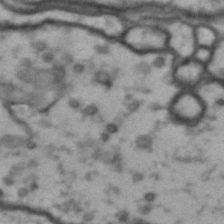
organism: Drosophila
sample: Brain